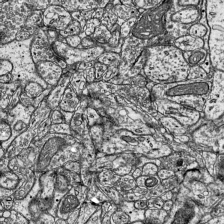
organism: Mouse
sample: Visual Cortex